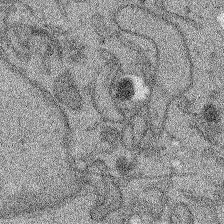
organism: Human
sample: HeLa cells